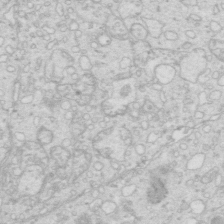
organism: Mouse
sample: Multiciliated cells